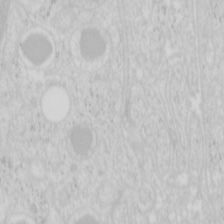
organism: Mouse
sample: Pancreas